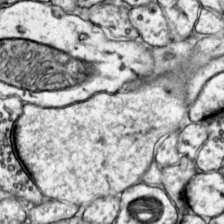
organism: Mouse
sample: Primary visual cortex